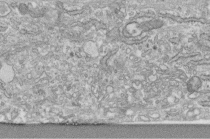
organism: Human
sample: Centriole in fibroblast cells